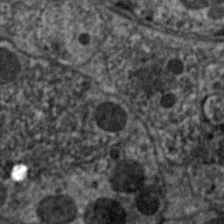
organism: C. elegans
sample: Pharynx